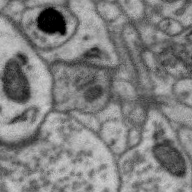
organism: Zebra finch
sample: Brain